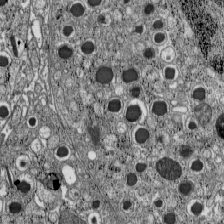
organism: C57BL Mouse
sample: Pancreatic islet